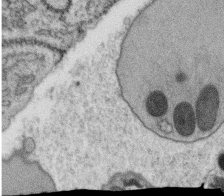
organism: C. elegans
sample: C. elegans oocyte; sperm cells